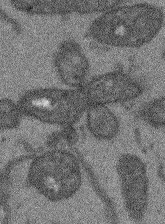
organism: Arabidopsis thaliana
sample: Root tip